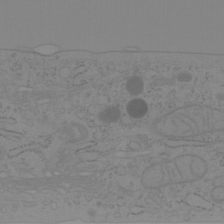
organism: Human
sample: HeLa cells